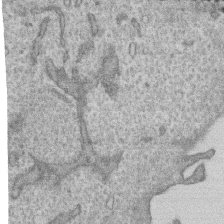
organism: Human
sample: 1205lu cells